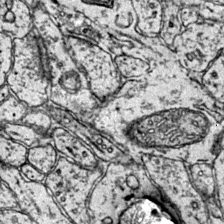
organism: Mouse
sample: Primary visual cortex